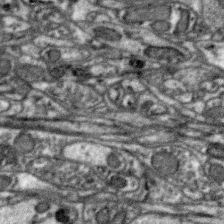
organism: Zebra finch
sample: Brain